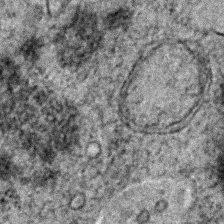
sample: Trachea